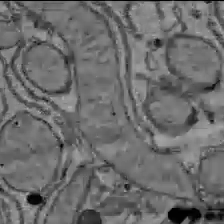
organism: C57BL Mouse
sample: Liver